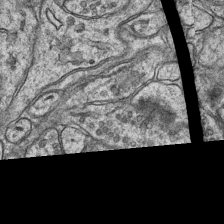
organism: Mouse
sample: CA1 Hippocampus